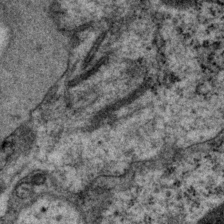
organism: P. pacificus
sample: Pharynx